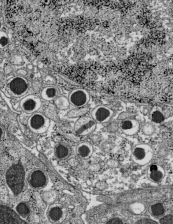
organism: C57BL Mouse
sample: Pancreatic islet